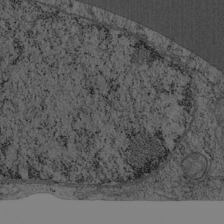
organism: African green monkey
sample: COS-7 cells